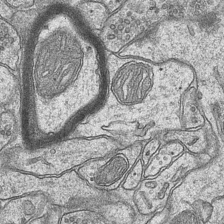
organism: Mouse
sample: CA1 Hippocampus